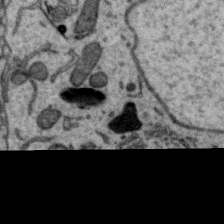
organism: Zebra finch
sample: Brain